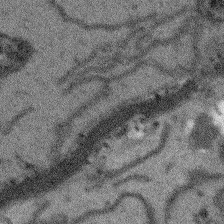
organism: Arabidopsis thaliana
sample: Root tip